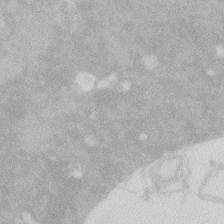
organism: Zebrafish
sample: Macrophage